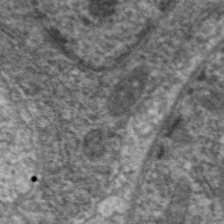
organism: C. elegans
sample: Pharynx